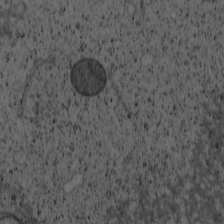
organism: African green monkey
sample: COS-7 cells